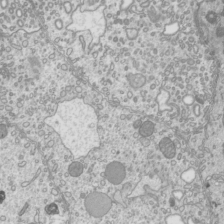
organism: Mouse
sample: Cilia; mouse epididymis